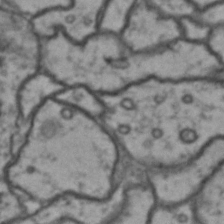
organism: Drosophila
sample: Brain